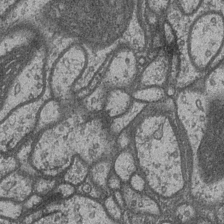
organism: Drosophila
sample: Optic medulla